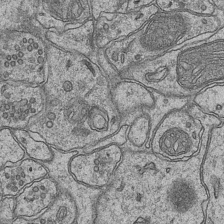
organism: Mouse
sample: CA1 Hippocampus